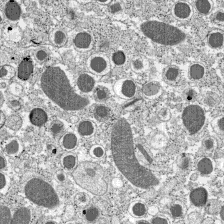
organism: C57BL Mouse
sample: Pancreatic islet